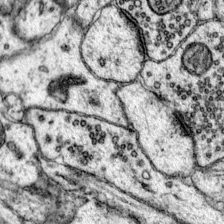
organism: Mouse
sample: Primary visual cortex